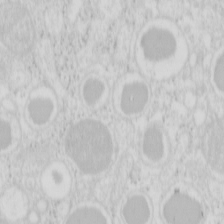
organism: Mouse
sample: Pancreas